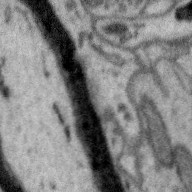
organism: Zebra finch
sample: Brain